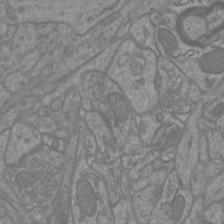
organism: Mouse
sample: Cortical neurons